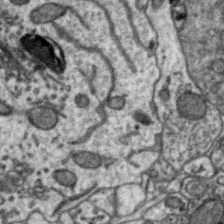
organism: Zebra finch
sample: Brain